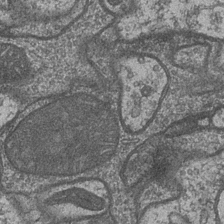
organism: Drosophila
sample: Optic medulla